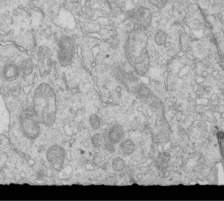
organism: Mouse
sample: Multiciliated cells